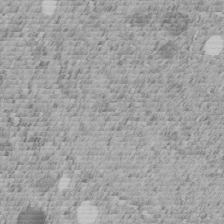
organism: C. elegans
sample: C. elegans embryo early stage